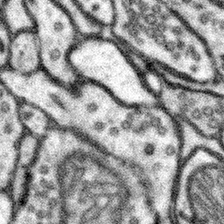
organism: Mouse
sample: Somatosensory cortex neuropil